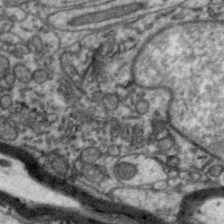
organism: Zebra finch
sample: Brain